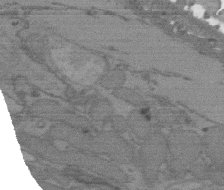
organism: C. elegans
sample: AFD neurons C. elegans